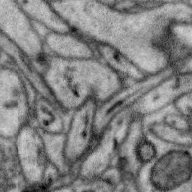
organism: Zebra finch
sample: Brain